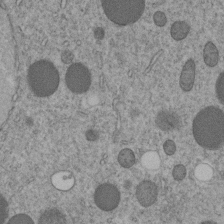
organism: C. elegans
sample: C. elegans embryo early stage